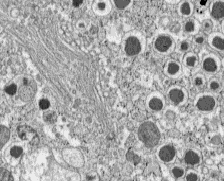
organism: C57BL Mouse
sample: Pancreatic islet